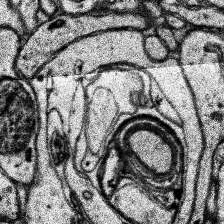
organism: Human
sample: Temporal Lobe